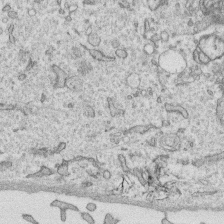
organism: Human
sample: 1205lu cells